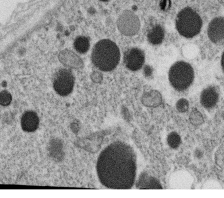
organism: C. elegans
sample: C. elegans oocyte; sperm cells